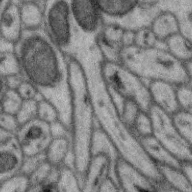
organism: Zebra finch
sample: Brain